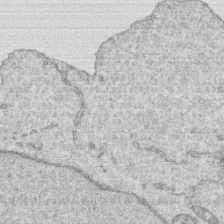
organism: Human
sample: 1205lu cells